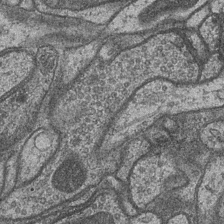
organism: Drosophila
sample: Optic medulla